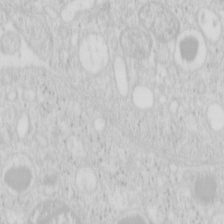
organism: Mouse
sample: Pancreas